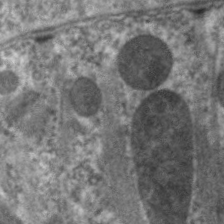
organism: C. elegans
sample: Pharynx